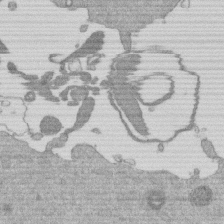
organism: Mouse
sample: Dividing mouse embryo 1 cell stage